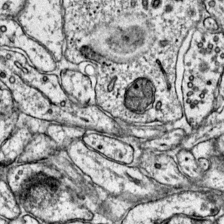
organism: Mouse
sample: Primary visual cortex